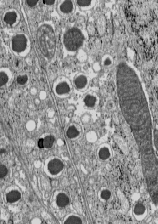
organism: C57BL Mouse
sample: Pancreatic islet